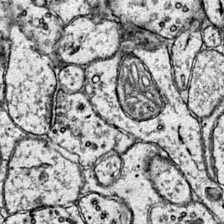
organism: Mouse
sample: Primary visual cortex